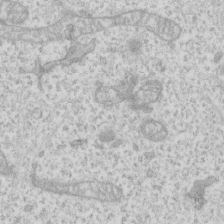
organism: Human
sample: Fibroblast cells